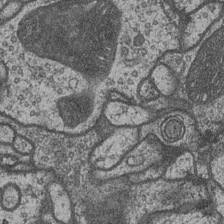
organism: Drosophila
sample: Optic medulla